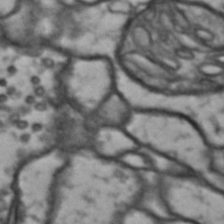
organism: Drosophila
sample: Brain